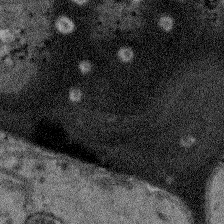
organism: Arabidopsis thaliana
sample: Root tip